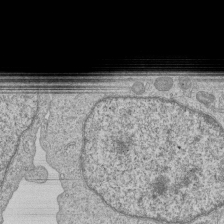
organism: Human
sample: MDA-MB-231 cells